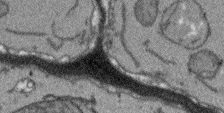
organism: Arabidopsis thaliana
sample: Root tip